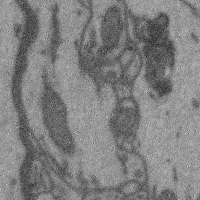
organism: Mouse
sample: Cerebral cortex